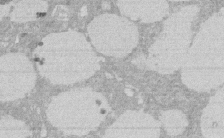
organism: Rat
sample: Salivary granule